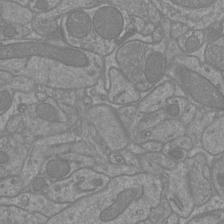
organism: Mouse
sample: Cortical neurons